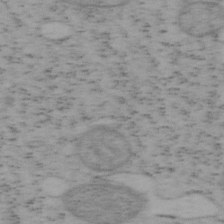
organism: Mouse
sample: OT-I killer T cells with ID8 ovarian cancer cells